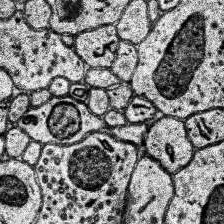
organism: Human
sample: Temporal Lobe